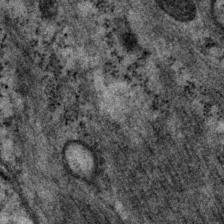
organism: P. pacificus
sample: Pharynx